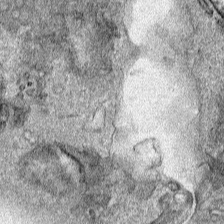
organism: Human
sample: Mitochondria in HCT116 cells